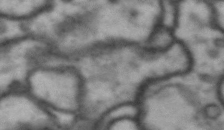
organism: Drosophila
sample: Brain